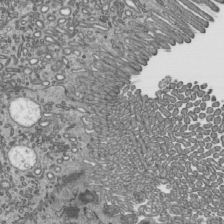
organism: Mouse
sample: Mouse epididymis efferent ductule cilia